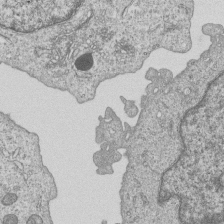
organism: Human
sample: MDA-MB-231 cells